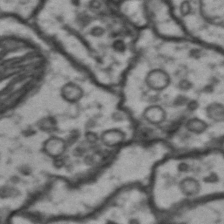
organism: Drosophila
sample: Brain